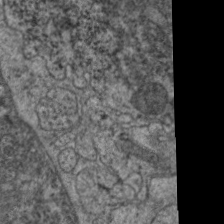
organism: C. elegans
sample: Pharynx